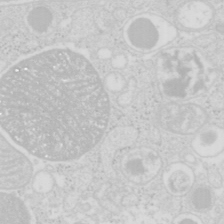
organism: Mouse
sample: Pancreas